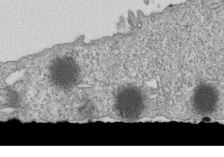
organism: Human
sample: HeLa cell HIV synapse